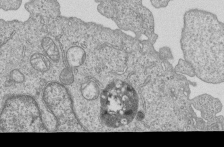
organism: Human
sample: MDA-MB-231 cells